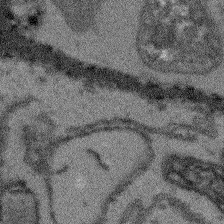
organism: Arabidopsis thaliana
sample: Root tip